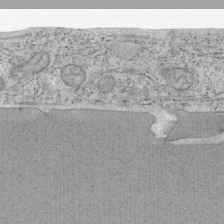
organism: Human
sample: HeLa cells